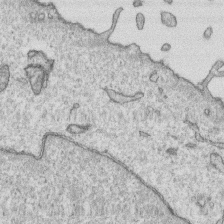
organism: Human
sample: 1205lu cells